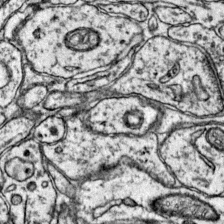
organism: Mouse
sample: Primary visual cortex